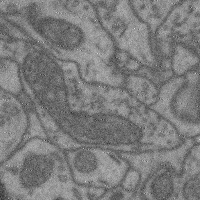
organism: Mouse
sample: Cerebral cortex